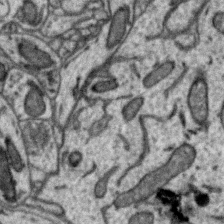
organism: Zebra finch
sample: Brain